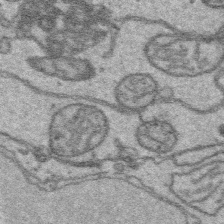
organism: Platynereis dumerilii